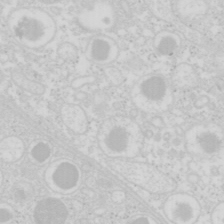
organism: Mouse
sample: Pancreas